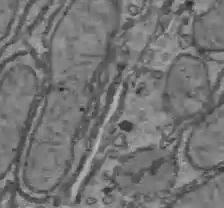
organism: C57BL Mouse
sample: Liver